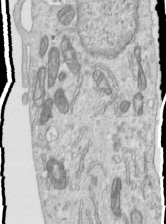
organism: Human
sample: Centriole in RPE cells